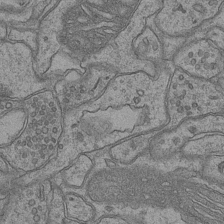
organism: Mouse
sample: CA1 Hippocampus